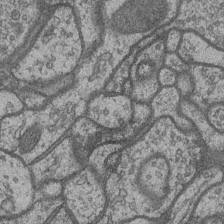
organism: Drosophila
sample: Optic medulla